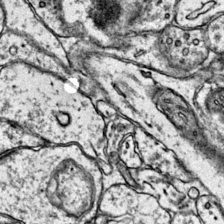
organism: Mouse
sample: Primary visual cortex